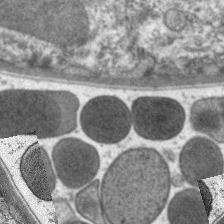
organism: C. elegans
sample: Pharynx